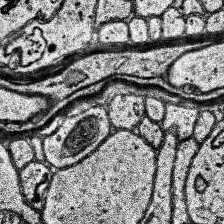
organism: Human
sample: Temporal Lobe